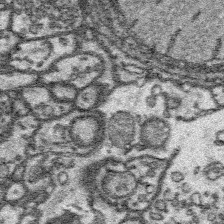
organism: Platynereis dumerilii